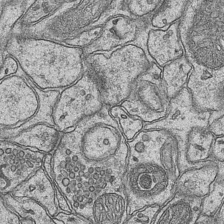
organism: Mouse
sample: CA1 Hippocampus